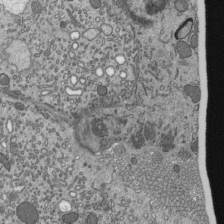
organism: Mouse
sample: Mouse epididymis efferent ductule cilia